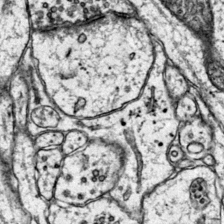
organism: Mouse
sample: Primary visual cortex